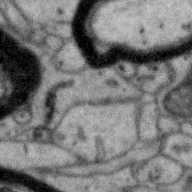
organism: Zebra finch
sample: Brain